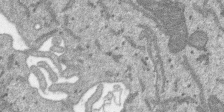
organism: Human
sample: Lung epithelial cells infected with SARS-CoV-2